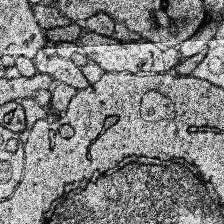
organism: Human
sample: Temporal Lobe